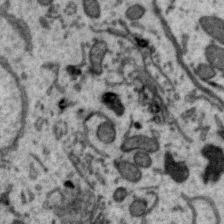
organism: Zebra finch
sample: Brain